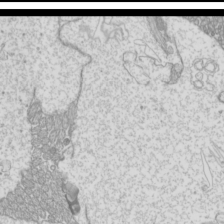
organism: Mouse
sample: Cilia; mouse epididymis